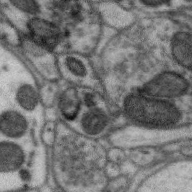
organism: Zebra finch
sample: Brain